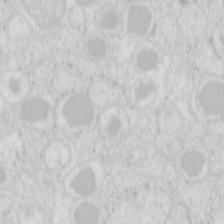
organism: Mouse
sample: Pancreas